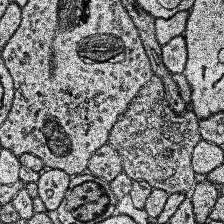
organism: Human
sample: Temporal Lobe